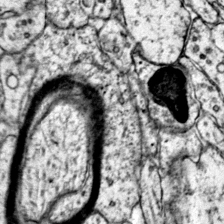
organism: Mouse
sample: Primary visual cortex